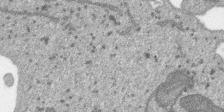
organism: Human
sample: Lung epithelial cells infected with SARS-CoV-2